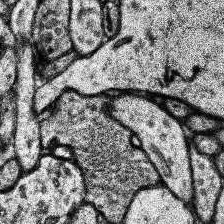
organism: Human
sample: Temporal Lobe